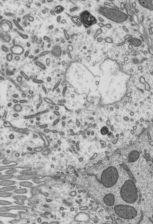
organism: Mouse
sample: Mouse epididymis efferent ductule cilia